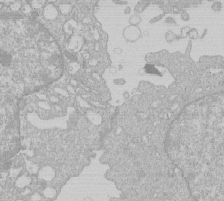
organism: Human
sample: Macrophage cells